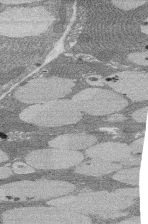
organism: Rat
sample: Salivary granule